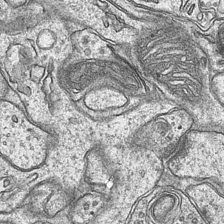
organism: Mouse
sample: CA1 Hippocampus